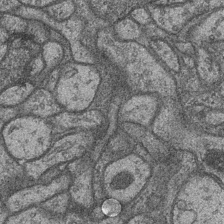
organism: Drosophila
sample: Optic medulla